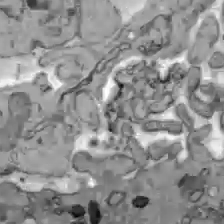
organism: C57BL Mouse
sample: Liver